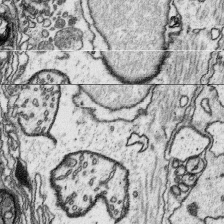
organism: Platynereis dumerilii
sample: Parapodia